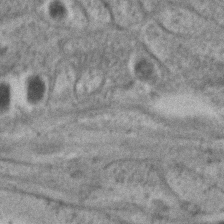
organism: C. elegans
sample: C. elegans embryo